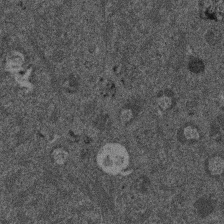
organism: Mouse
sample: Dividing mouse embryo 1 cell stage